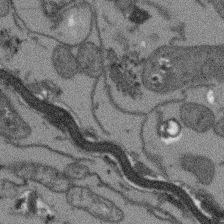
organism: Arabidopsis thaliana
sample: Root tip